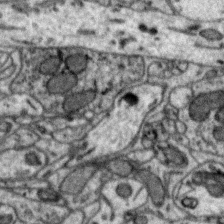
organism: Zebra finch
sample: Brain